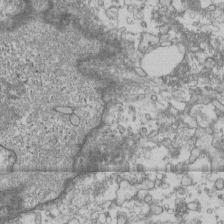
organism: Human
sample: Fibroblast cells